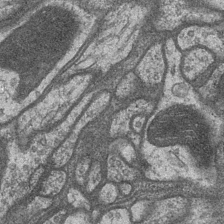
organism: Drosophila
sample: Optic medulla